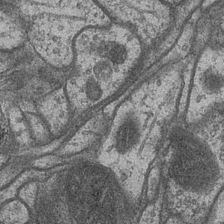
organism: Drosophila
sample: Optic medulla